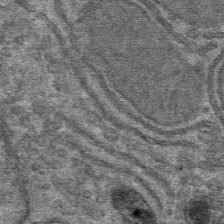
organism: Mouse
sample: Mouse hepatocytes